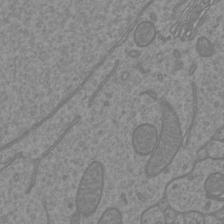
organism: Mouse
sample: Cortical neurons